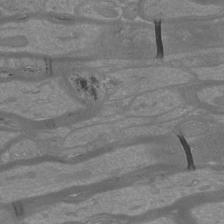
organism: Mouse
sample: Cortical neurons